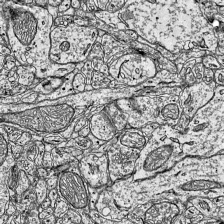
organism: Mouse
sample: Visual Cortex